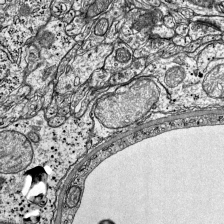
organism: Mouse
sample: Visual Cortex